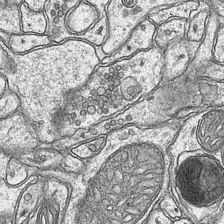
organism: Mouse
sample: CA1 Hippocampus